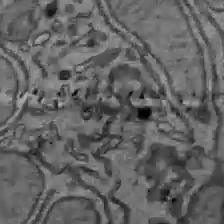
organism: C57BL Mouse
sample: Liver